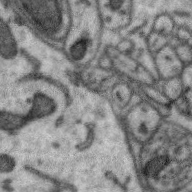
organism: Zebra finch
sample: Brain